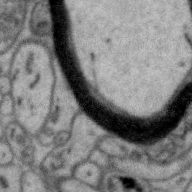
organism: Zebra finch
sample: Brain